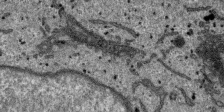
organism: Human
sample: Lung epithelial cells, uninfected (mock) control